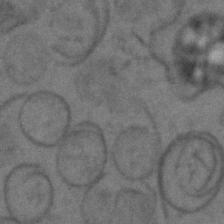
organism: C. elegans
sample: C. elegans embryo